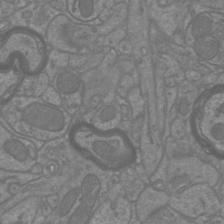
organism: Mouse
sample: Cortical neurons